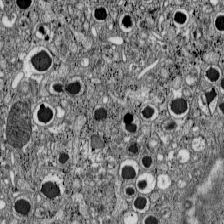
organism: C57BL Mouse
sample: Pancreatic islet